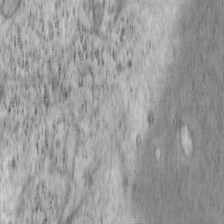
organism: Human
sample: HeLa cells